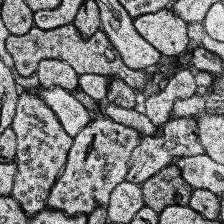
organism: Human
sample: Temporal Lobe